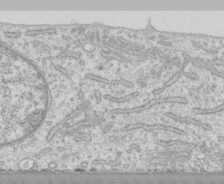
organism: Human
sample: CRL-1474